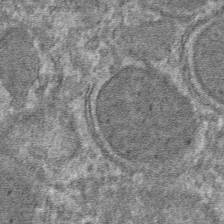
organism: Mouse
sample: Mouse hepatocytes